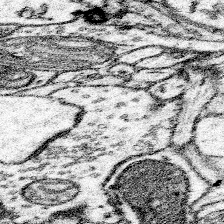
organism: Mouse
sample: Somatosensory cortex neuropil